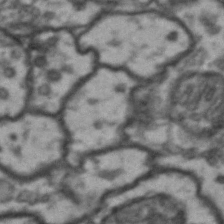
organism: Drosophila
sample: Brain